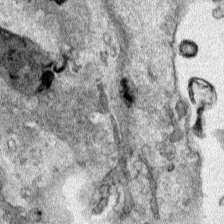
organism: Human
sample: Mitochondria in HCT116 cells